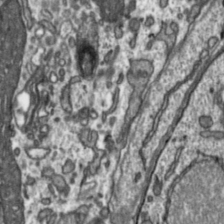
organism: Toxoplasma gondii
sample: Parasites in a vacuole inside a host cell